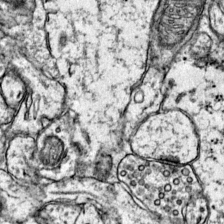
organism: Mouse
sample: Primary visual cortex